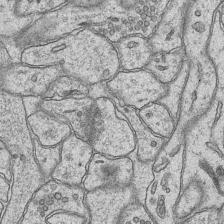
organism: Mouse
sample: CA1 Hippocampus